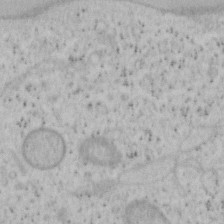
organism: Human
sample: HeLa cells